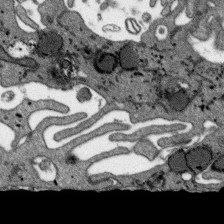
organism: Human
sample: Lung epithelial cells, uninfected (mock) control